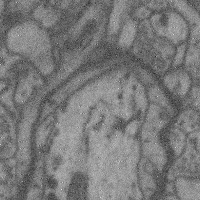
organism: Mouse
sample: Cerebral cortex